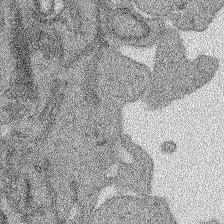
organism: Human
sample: HeLa cells